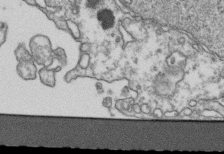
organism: Human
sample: Activated Jurkat CD4+ T cells